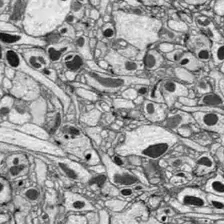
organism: Drosophila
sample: Optic lobe